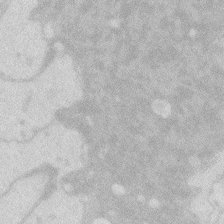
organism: Zebrafish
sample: Macrophage